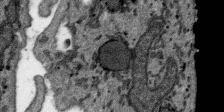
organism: Human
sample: Lung epithelial cells, uninfected (mock) control